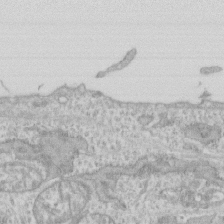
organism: Human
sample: CRL-1474